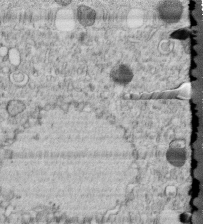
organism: C. elegans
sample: C. elegans embryo early stage